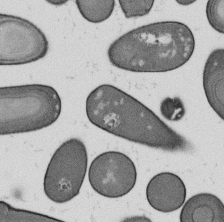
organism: B. subtilis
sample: Bacterial spore